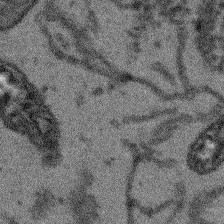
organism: Arabidopsis thaliana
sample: Root tip